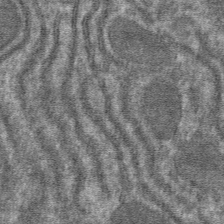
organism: Mouse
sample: Mouse hepatocytes